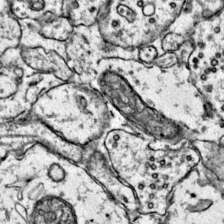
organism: Mouse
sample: Primary visual cortex